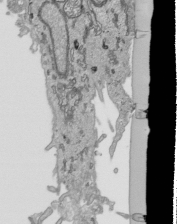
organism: Human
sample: Mitochondria in HCT116 cells